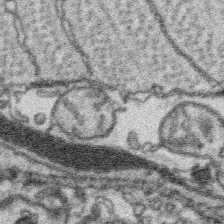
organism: Platynereis dumerilii